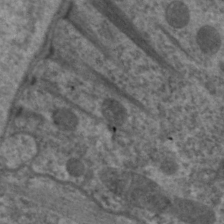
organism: C. elegans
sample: Pharynx